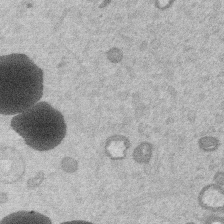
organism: Mouse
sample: Dividing mouse embryo 1 cell stage